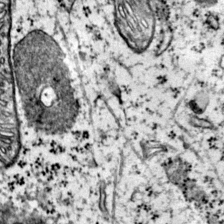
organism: Mouse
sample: Primary visual cortex